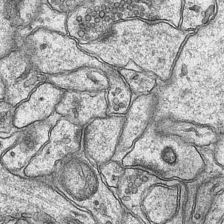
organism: Mouse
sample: CA1 Hippocampus